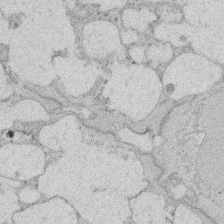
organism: Rat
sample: Salivary granule